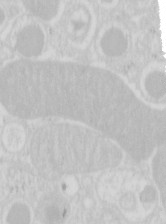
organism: Mouse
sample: Pancreas